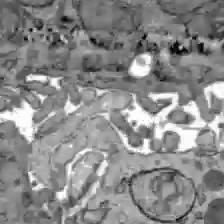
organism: C57BL Mouse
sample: Liver